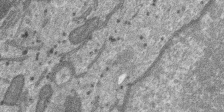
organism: Human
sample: Lung epithelial cells infected with SARS-CoV-2